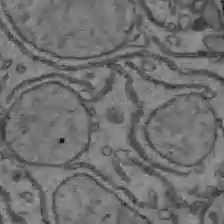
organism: C57BL Mouse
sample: Liver